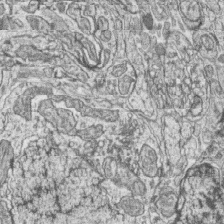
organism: Zebrafish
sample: synaptic ribbons in rod cells and cone cells